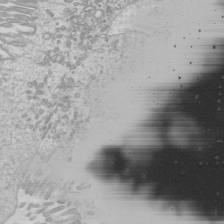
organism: Mouse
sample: Cilia; mouse epididymis